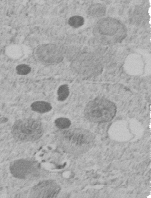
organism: C. elegans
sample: C. elegans embryo early stage